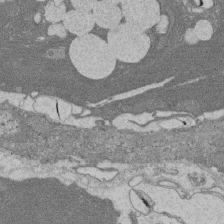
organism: Rat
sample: Salivary granule